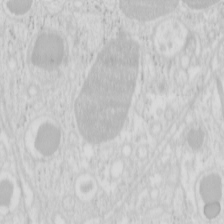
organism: Mouse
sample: Pancreas